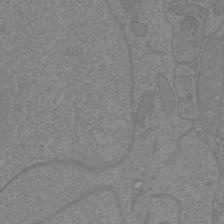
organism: Mouse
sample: Cortical neurons